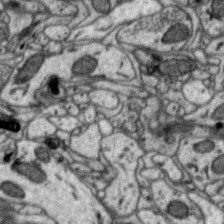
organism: Zebra finch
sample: Brain